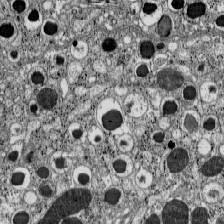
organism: C57BL Mouse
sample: Pancreatic islet